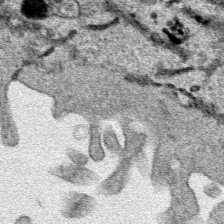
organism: Human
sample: Mitochondria in HCT116 cells